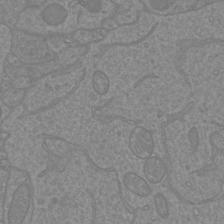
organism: Mouse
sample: Cortical neurons